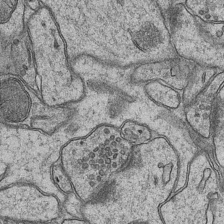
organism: Mouse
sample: CA1 Hippocampus